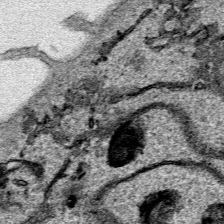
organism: Human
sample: Mitochondria in HCT116 cells